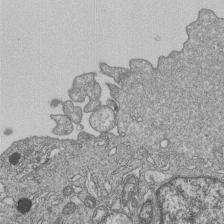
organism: Human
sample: MDA-MB-231 cells